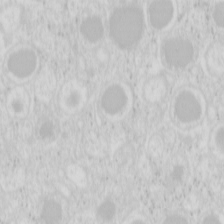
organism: Mouse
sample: Pancreas